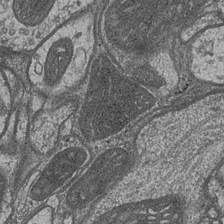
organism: Drosophila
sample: Optic medulla